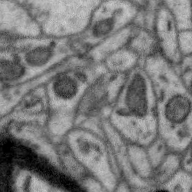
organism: Zebra finch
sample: Brain